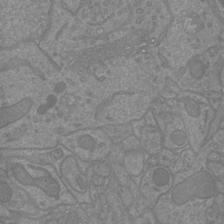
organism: Mouse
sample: Cortical neurons